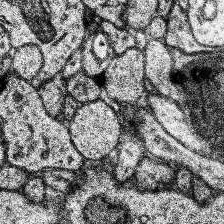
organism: Human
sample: Temporal Lobe